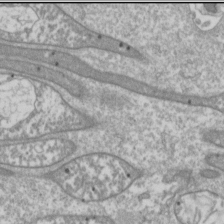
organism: Drosophila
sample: Cell division; meiosis; drosophila spermatocytes